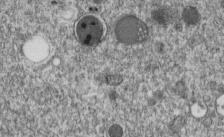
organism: C. elegans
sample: C. elegans embryo early stage